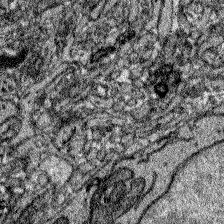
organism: Zebrafish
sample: Larval olfactory bulb